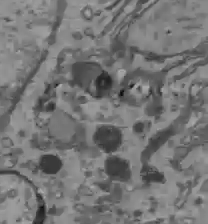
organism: C57BL Mouse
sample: Liver